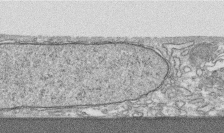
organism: Human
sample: CRL-1474